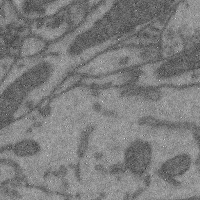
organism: Mouse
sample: Cerebral cortex